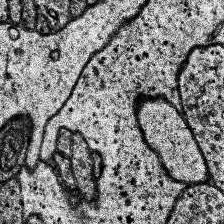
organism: Human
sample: Temporal Lobe